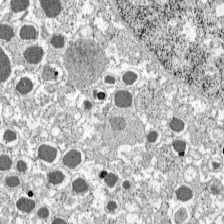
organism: C57BL Mouse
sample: Pancreatic islet